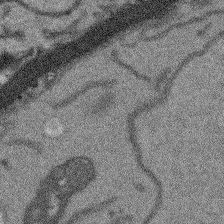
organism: Arabidopsis thaliana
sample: Root tip